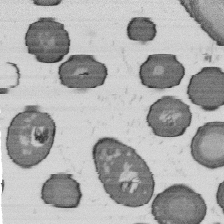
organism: B. subtilis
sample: Bacterial spore